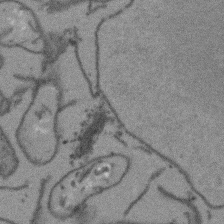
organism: Arabidopsis thaliana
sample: Root tip